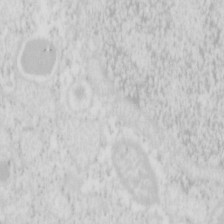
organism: Mouse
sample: Pancreas